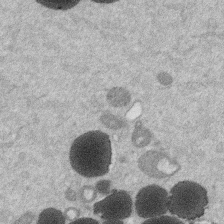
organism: Mouse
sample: Dividing mouse embryo 1 cell stage